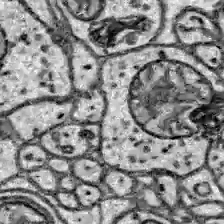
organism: Zebrafish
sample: Brain